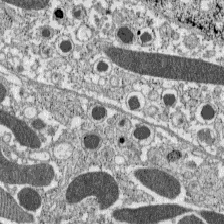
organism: C57BL Mouse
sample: Pancreatic islet